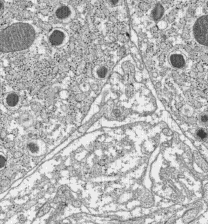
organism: C57BL Mouse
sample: Pancreatic islet